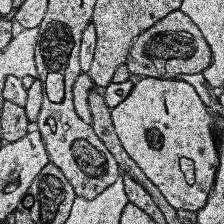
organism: Human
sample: Temporal Lobe